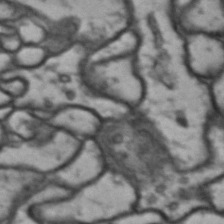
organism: Drosophila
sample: Brain